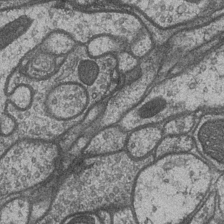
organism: Drosophila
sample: Optic medulla